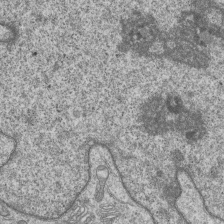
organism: Human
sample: MDA-MB-231 cells